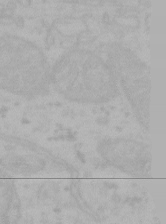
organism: Mouse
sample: Choroid plexus